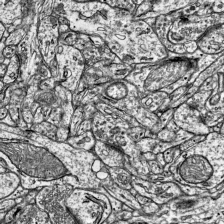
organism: Mouse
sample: Visual Cortex